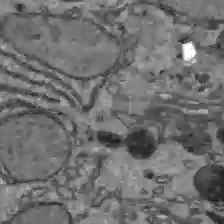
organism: C57BL Mouse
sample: Liver